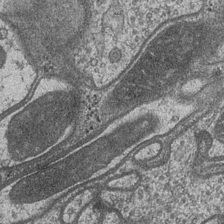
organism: Drosophila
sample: Optic medulla